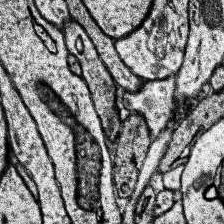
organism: Human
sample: Temporal Lobe